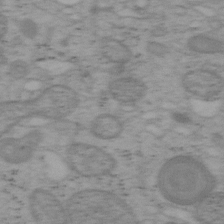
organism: Mouse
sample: OT-I killer T cells with ID8 ovarian cancer cells